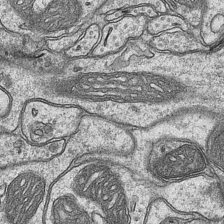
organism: Mouse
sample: CA1 Hippocampus